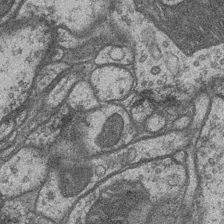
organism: Drosophila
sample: Optic medulla